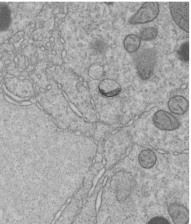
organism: C. elegans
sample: C. elegans embryo early stage